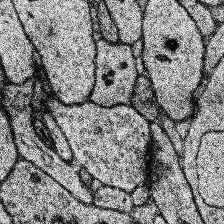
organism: Human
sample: Temporal Lobe